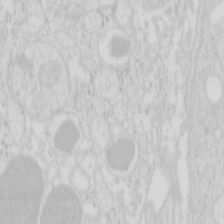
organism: Mouse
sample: Pancreas